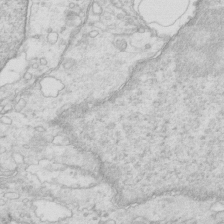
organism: Mouse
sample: Multiciliated cells